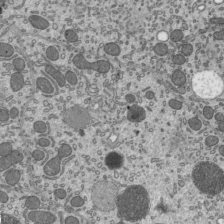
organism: Mouse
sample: Mouse epididymis efferent ductule cilia